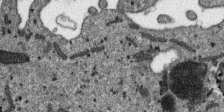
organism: Human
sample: Lung epithelial cells infected with SARS-CoV-2